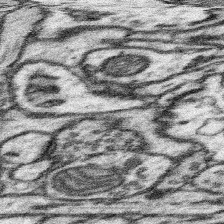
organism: Mouse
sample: Somatosensory cortex neuropil